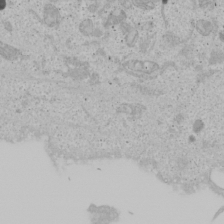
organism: Human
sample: Mitochondria in U2OS cells